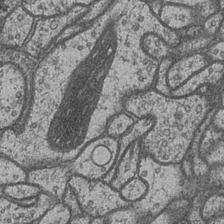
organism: Drosophila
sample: Optic medulla